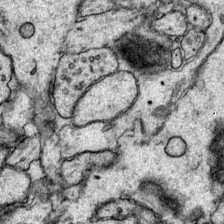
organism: Mouse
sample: Primary visual cortex